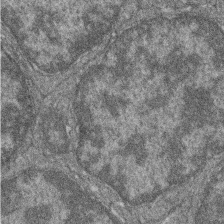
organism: Zebrafish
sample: Cilia; retinal pigment epithelium